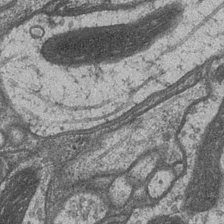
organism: Drosophila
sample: Optic medulla